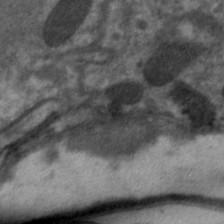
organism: C. elegans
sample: Pharynx